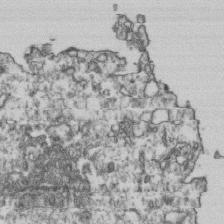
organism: Human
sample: Activated Jurkat CD4+ T cells